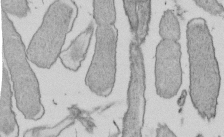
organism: E. coli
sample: Bacterial nucleoid